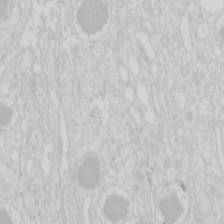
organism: Mouse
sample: Pancreas